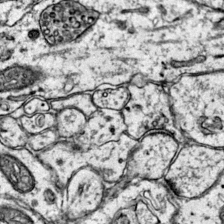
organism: Mouse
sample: Primary visual cortex